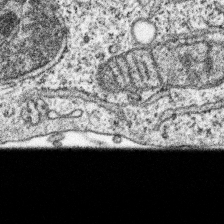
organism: Human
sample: HeLa cells